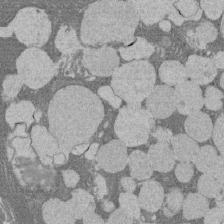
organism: Rat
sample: Salivary granule